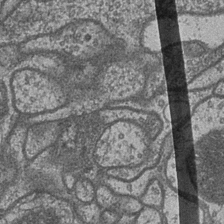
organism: Drosophila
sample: Optic medulla